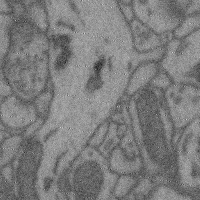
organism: Mouse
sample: Cerebral cortex